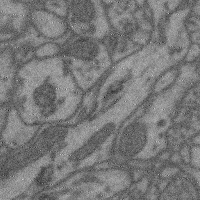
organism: Mouse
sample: Cerebral cortex